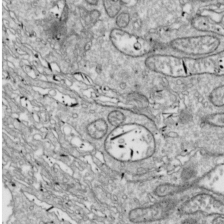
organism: Drosophila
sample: Cell division; meiosis; drosophila spermatocytes